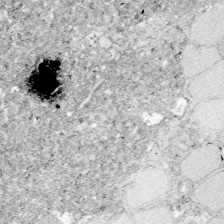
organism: Zebrafish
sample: Whole-Brain